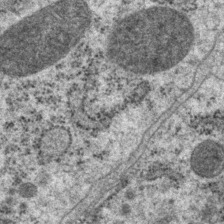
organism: P. pacificus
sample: Pharynx